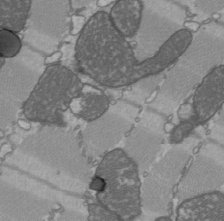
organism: C57BL Mouse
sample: Heart